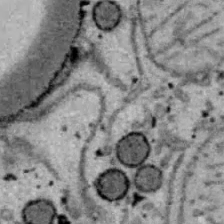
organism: Mouse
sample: Liver from an obese (ob/ob) mouse